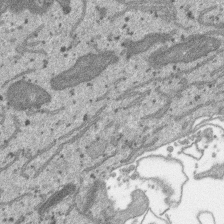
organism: Human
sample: Lung epithelial cells infected with SARS-CoV-2